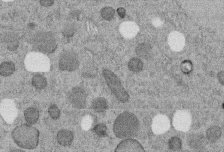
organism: C. elegans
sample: C. elegans embryo early stage